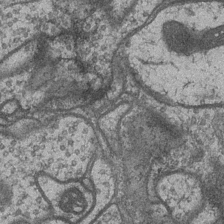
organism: Drosophila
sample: Optic medulla